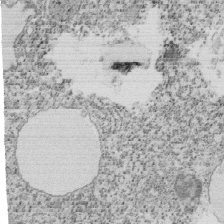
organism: Tetrahymena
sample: Cilia in tetrahymena